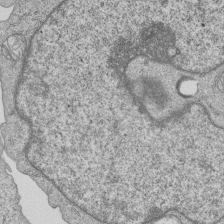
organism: Human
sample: MDA-MB-231 cells